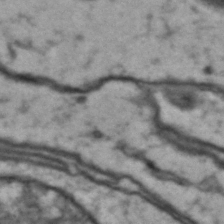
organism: Drosophila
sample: Brain